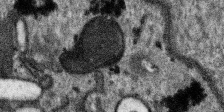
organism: Human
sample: Lung epithelial cells infected with SARS-CoV-2